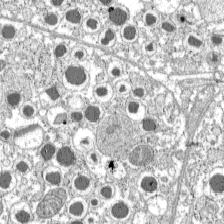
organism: C57BL Mouse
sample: Pancreatic islet